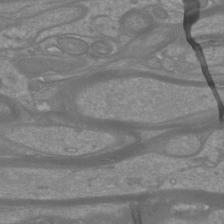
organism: Mouse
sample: Cortical neurons